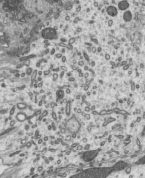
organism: Mouse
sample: Mouse epididymis efferent ductule cilia